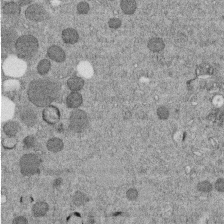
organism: C. elegans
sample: C. elegans embryo early stage